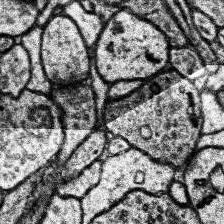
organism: Human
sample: Temporal Lobe